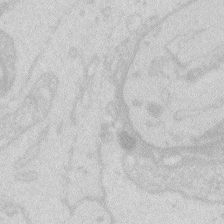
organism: Zebrafish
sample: Macrophage